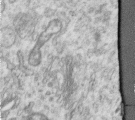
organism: Human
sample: Centriole in RPE cells